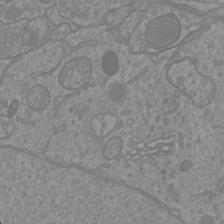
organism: Mouse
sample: Cortical neurons